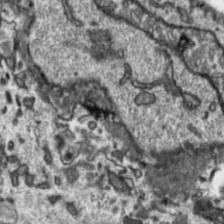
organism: Toxoplasma gondii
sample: Parasites in a vacuole inside a host cell